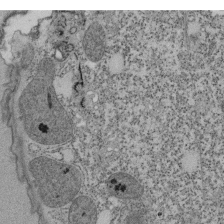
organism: Tetrahymena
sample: Cilia in tetrahymena